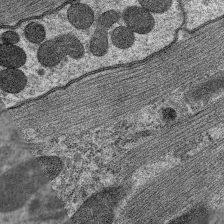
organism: C. elegans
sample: Pharynx